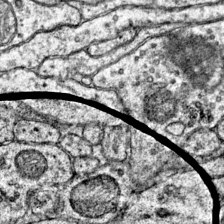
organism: Mouse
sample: Primary visual cortex